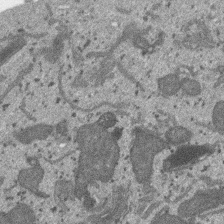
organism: Human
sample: Lung epithelial cells infected with SARS-CoV-2